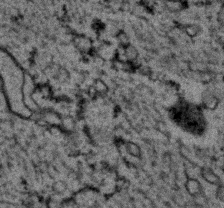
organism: C. elegans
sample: C. elegans embryo